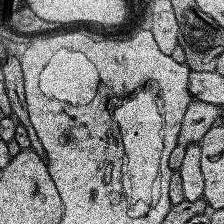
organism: Human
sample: Temporal Lobe